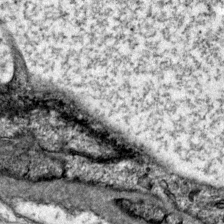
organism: Mouse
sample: Primary visual cortex